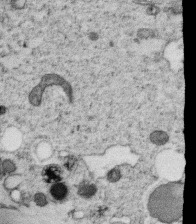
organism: C. elegans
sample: C. elegans oocyte; sperm cells